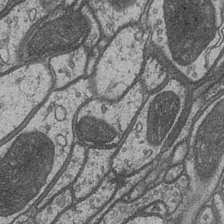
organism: Drosophila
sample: Optic medulla